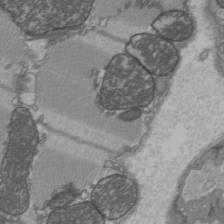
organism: C57BL Mouse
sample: Heart